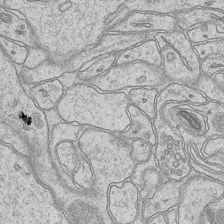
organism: Mouse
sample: CA1 Hippocampus